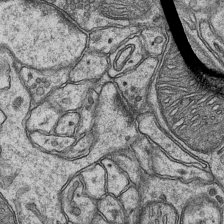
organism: Mouse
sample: CA1 Hippocampus